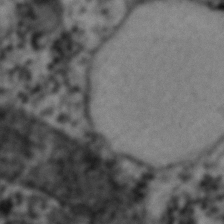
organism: C. elegans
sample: C. elegans embryo